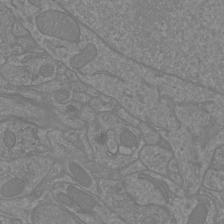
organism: Mouse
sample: Cortical neurons